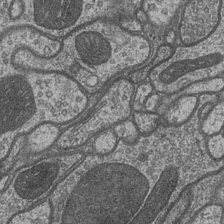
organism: Drosophila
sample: Optic medulla